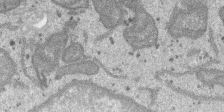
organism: Human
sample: Lung epithelial cells infected with SARS-CoV-2